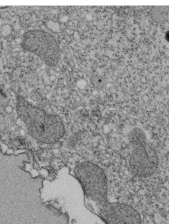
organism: Tetrahymena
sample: Cilia in tetrahymena